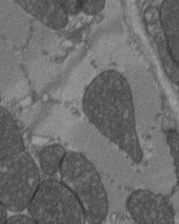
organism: C57BL Mouse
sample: Heart